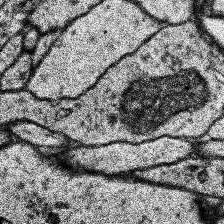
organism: Human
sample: Temporal Lobe